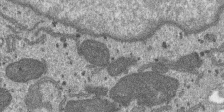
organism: Human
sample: Lung epithelial cells infected with SARS-CoV-2